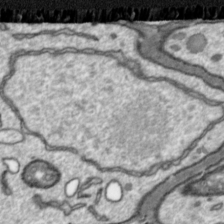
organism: Toxoplasma gondii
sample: Parasites in a vacuole inside a host cell